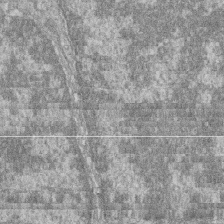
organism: Zebrafish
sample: Cilia; retinal pigment epithelium